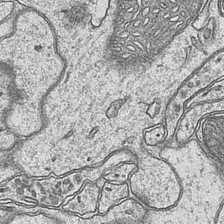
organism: Mouse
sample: CA1 Hippocampus